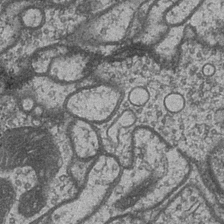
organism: Drosophila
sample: Optic medulla